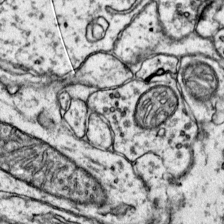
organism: Mouse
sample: Primary visual cortex